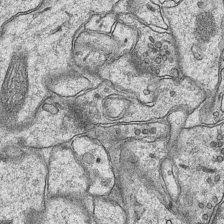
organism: Mouse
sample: CA1 Hippocampus